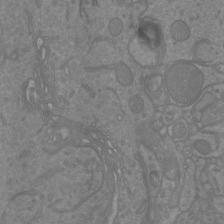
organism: Mouse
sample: Cortical neurons